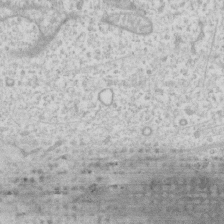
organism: Human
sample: Fibroblast cells